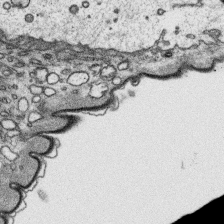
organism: Platynereis dumerilii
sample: Parapodia